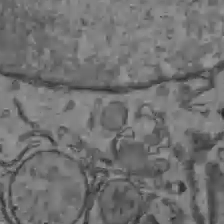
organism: C57BL Mouse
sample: Liver